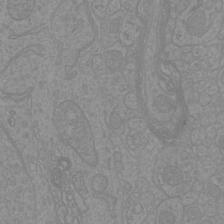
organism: Mouse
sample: Cortical neurons